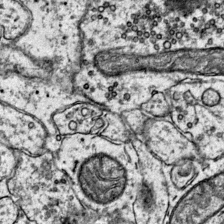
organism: Mouse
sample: Primary visual cortex